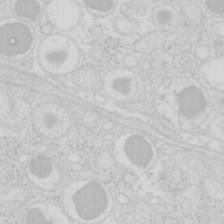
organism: Mouse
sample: Pancreas